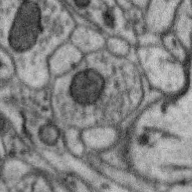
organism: Zebra finch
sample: Brain